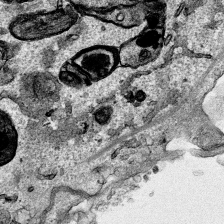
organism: Human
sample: Mitochondria in HCT116 cells